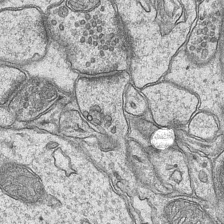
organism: Mouse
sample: CA1 Hippocampus